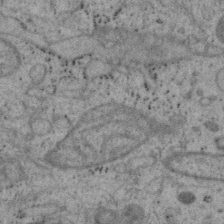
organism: Human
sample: HeLa cells